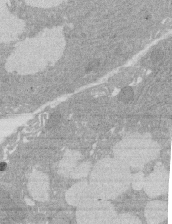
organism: Rat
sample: Salivary granule